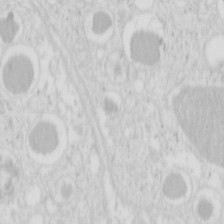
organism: Mouse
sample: Pancreas